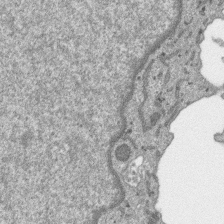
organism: Human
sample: Lung epithelial cells infected with SARS-CoV-2